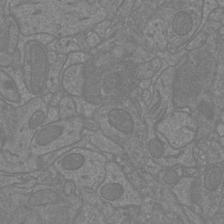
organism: Mouse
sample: Cortical neurons